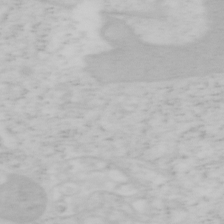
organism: Mouse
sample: OT-I killer T cells with ID8 ovarian cancer cells